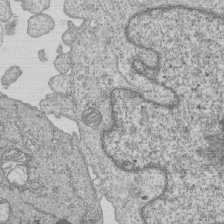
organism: Human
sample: MDA-MB-231 cells